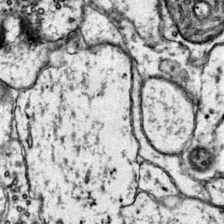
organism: Mouse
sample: Primary visual cortex